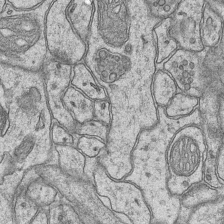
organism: Mouse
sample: CA1 Hippocampus